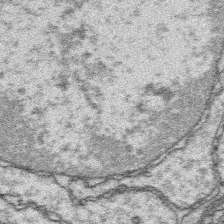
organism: Platynereis dumerilii